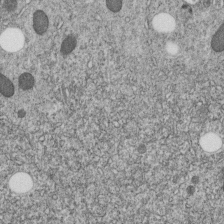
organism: C. elegans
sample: C. elegans embryo early stage